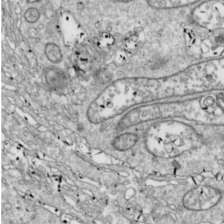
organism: Drosophila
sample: Cell division; meiosis; drosophila spermatocytes